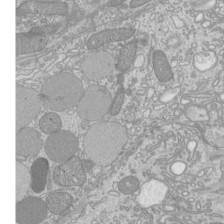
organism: Mouse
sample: Cilia; mouse epididymis